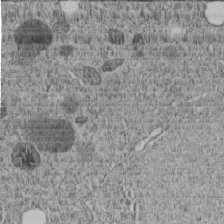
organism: C. elegans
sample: C. elegans embryo early stage